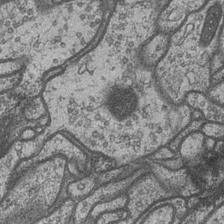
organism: Drosophila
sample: Optic medulla